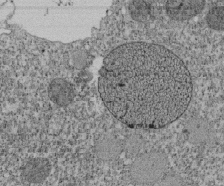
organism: Tetrahymena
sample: Cilia in tetrahymena